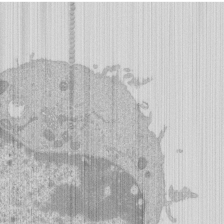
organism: Mouse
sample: Activated Pmel transgenic CD8+ T Cells